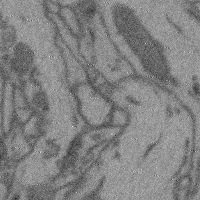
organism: Mouse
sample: Cerebral cortex